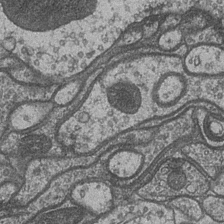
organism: Drosophila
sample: Optic medulla